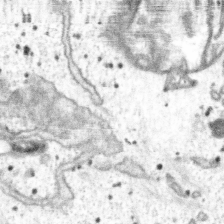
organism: Human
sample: HeLa cells